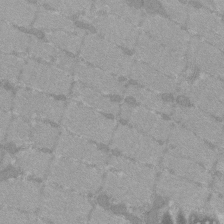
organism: C57BL Mouse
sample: Tibialis anterior muscle cell